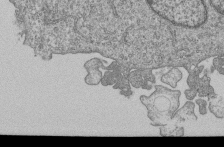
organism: Human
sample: MDA-MB-231 cells